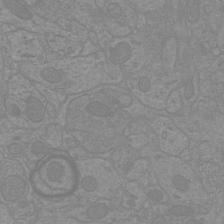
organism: Mouse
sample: Cortical neurons